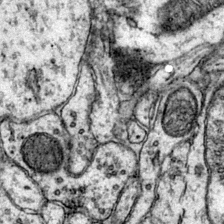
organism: Mouse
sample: Primary visual cortex